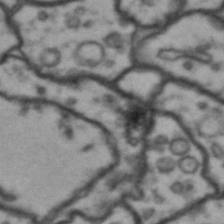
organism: Drosophila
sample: Brain